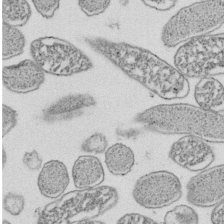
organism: E. coli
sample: Bacterial nucleoid